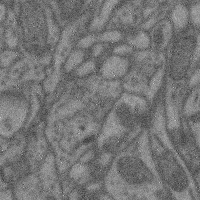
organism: Mouse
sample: Cerebral cortex